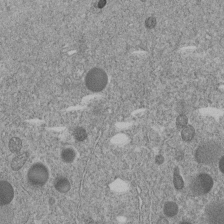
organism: C. elegans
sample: C. elegans embryo early stage